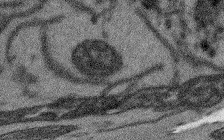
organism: Arabidopsis thaliana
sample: Root tip